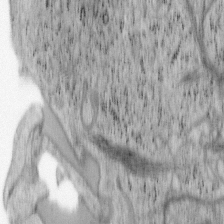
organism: Human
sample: HeLa cells